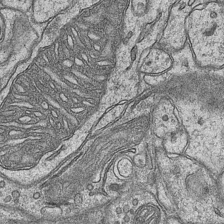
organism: Mouse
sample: CA1 Hippocampus